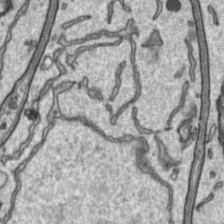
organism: Toxoplasma gondii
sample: Parasites in a vacuole inside a host cell